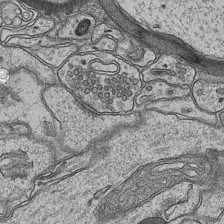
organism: Mouse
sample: CA1 Hippocampus